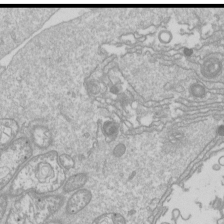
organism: Drosophila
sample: Cell division; meiosis; drosophila spermatocytes